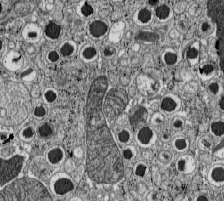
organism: C57BL Mouse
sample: Pancreatic islet